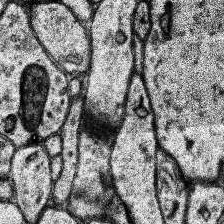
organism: Human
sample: Temporal Lobe